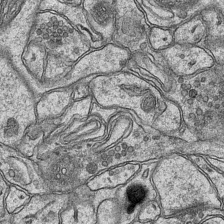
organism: Mouse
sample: CA1 Hippocampus